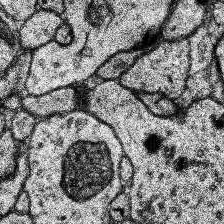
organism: Human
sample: Temporal Lobe